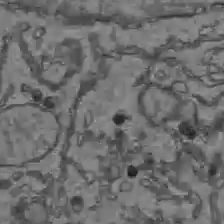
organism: C57BL Mouse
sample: Liver